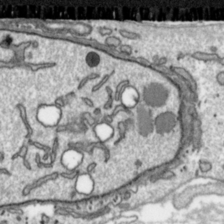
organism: Toxoplasma gondii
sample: Parasites in a vacuole inside a host cell